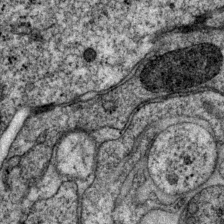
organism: P. pacificus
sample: Pharynx